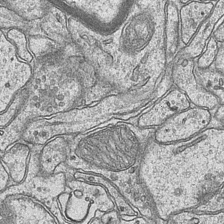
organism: Mouse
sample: CA1 Hippocampus